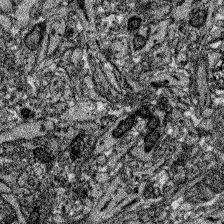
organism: Zebrafish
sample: Larval olfactory bulb